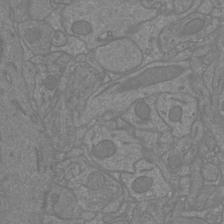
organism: Mouse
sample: Cortical neurons